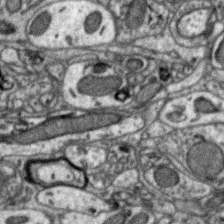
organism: Zebra finch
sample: Brain